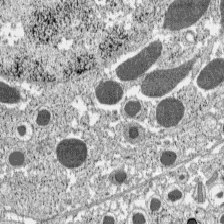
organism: C57BL Mouse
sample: Pancreatic islet